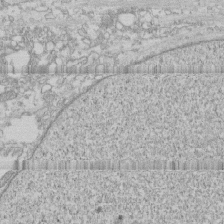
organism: Human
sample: CRL-1474